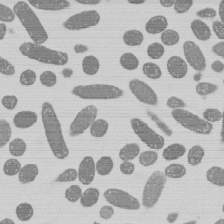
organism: E. coli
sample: Bacterial nucleoid